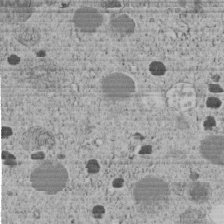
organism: C. elegans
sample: C. elegans embryo early stage